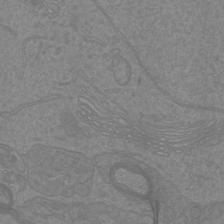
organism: Mouse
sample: Cortical neurons